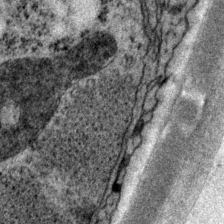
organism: P. pacificus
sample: Pharynx